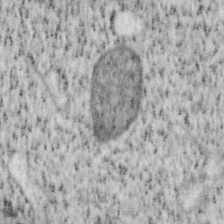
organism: Mouse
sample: OT-I killer T cells with ID8 ovarian cancer cells